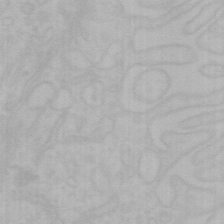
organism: Mouse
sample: Choroid plexus